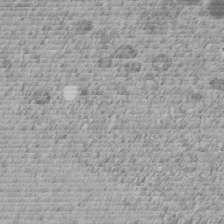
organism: C. elegans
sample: C. elegans embryo early stage